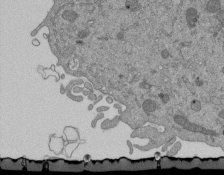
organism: Mouse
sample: ED-1 cell nuclei; centrioles